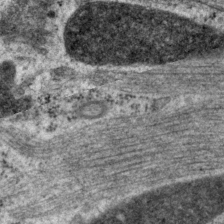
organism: P. pacificus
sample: Pharynx